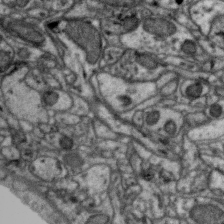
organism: Zebra finch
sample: Brain